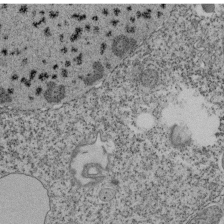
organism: Tetrahymena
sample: Cilia in tetrahymena